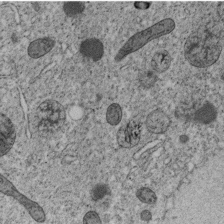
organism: C. elegans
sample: C. elegans embryo early stage